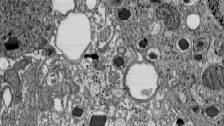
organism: C57BL Mouse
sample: Pancreatic islet